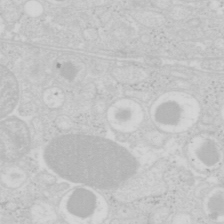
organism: Mouse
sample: Pancreas